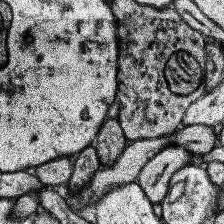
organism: Human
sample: Temporal Lobe